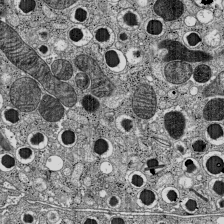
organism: C57BL Mouse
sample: Pancreatic islet